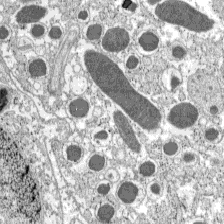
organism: C57BL Mouse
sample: Pancreatic islet